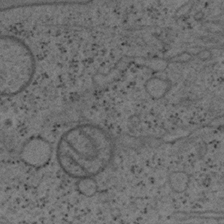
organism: Human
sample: HeLa cells